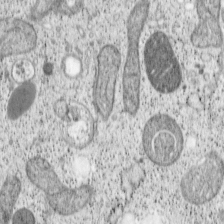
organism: African green monkey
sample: COS-7 cells